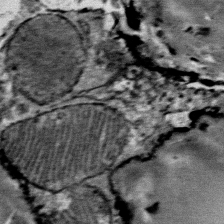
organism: Mouse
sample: Mouse Salivary gland